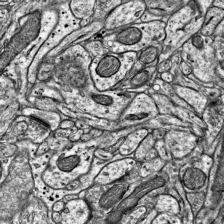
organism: Mouse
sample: Visual Cortex